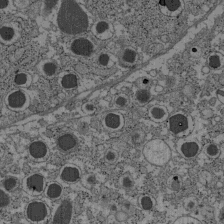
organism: C57BL Mouse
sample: Pancreatic islet